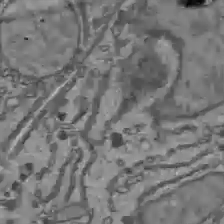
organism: C57BL Mouse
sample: Liver